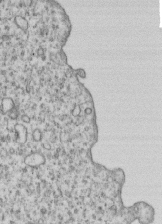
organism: Human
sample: MDA-MB-231 cells